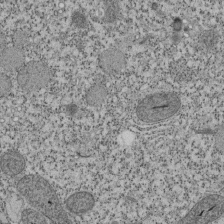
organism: Tetrahymena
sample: Cilia in tetrahymena